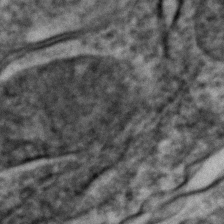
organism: Zebrafish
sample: Zebrafish embryo